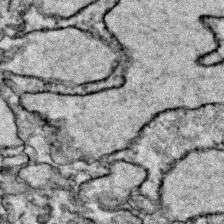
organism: Zebrafish